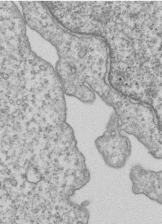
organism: Human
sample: MDA-MB-231 cells